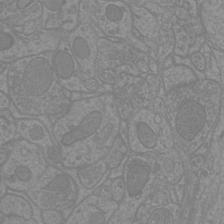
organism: Mouse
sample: Cortical neurons